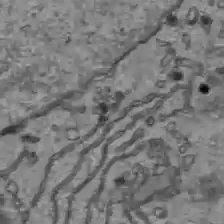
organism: C57BL Mouse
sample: Liver